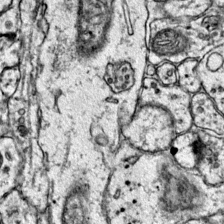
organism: Mouse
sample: Primary visual cortex